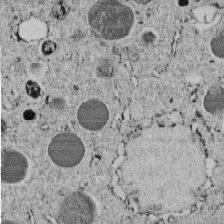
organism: C. elegans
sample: C. elegans embryo early stage